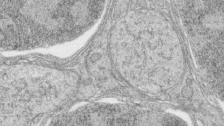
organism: Zebrafish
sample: synaptic ribbons in rod cells and cone cells